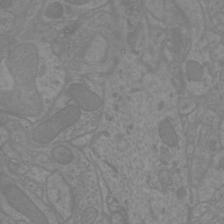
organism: Mouse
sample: Cortical neurons